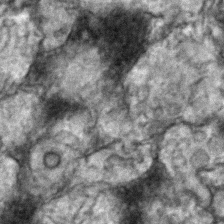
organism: Zebrafish